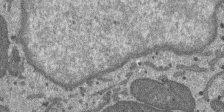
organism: Human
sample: Lung epithelial cells infected with SARS-CoV-2